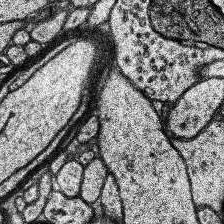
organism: Human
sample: Temporal Lobe